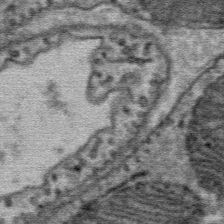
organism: Mouse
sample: Mouse Salivary gland